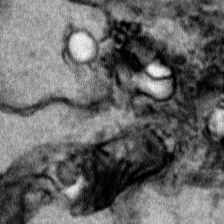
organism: Human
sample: Mitochondria in HCT116 cells